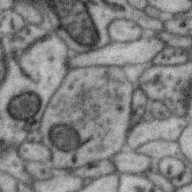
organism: Zebra finch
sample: Brain